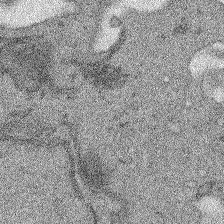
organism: Human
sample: HeLa cells